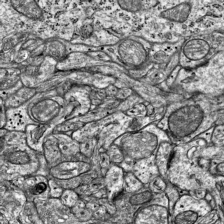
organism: Mouse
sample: Visual Cortex